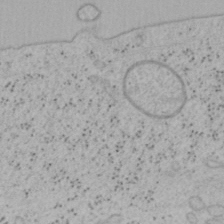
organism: Human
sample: HeLa cells